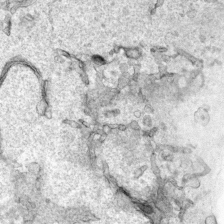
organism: Human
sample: Mitochondria in HCT116 cells